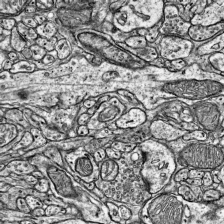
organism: Mouse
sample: Visual Cortex